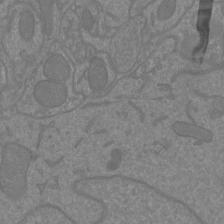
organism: Mouse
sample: Cortical neurons